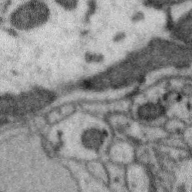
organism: Zebra finch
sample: Brain